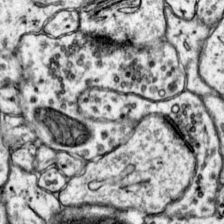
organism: Mouse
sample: Primary visual cortex